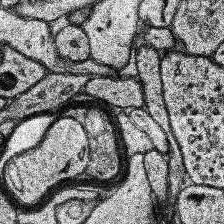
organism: Human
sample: Temporal Lobe